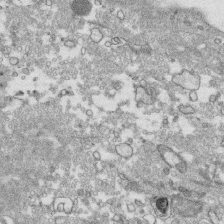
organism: Human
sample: CRL-1474